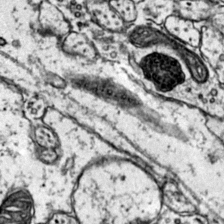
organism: Mouse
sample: Primary visual cortex